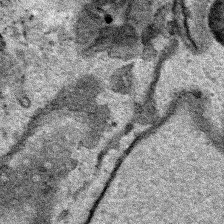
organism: Human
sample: Mitochondria in HCT116 cells